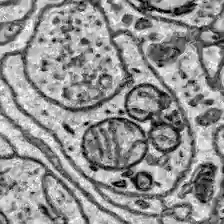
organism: Zebrafish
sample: Brain